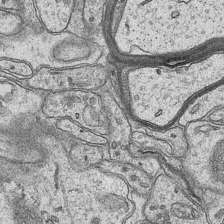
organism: Mouse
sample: CA1 Hippocampus